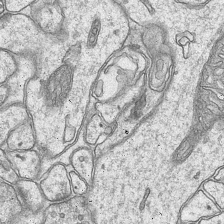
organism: Mouse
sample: CA1 Hippocampus